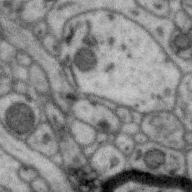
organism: Zebra finch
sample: Brain